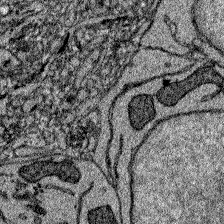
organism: Zebrafish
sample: Larval olfactory bulb